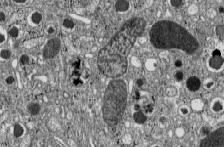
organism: C57BL Mouse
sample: Pancreatic islet